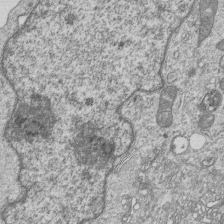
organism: Human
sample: MDA-MB-231 cells